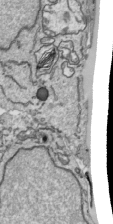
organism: Human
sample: Mitochondria in HCT116 cells